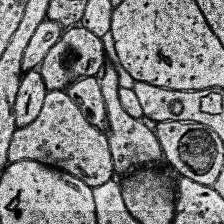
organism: Human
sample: Temporal Lobe